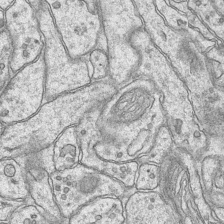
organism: Mouse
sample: CA1 Hippocampus